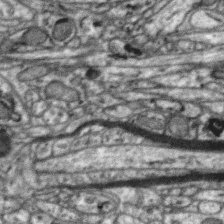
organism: Zebra finch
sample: Brain